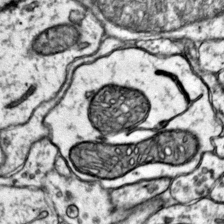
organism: Mouse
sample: Primary visual cortex